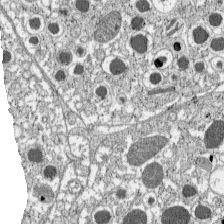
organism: C57BL Mouse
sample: Pancreatic islet